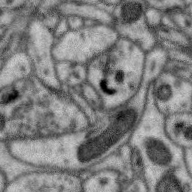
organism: Zebra finch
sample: Brain